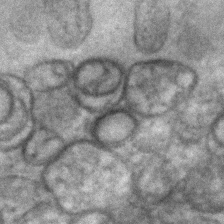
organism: C. elegans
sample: C. elegans embryo